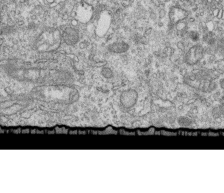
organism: Human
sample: HeLa cell HIV synapse